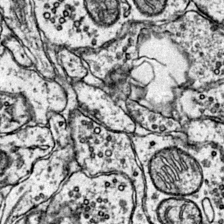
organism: Mouse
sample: Primary visual cortex